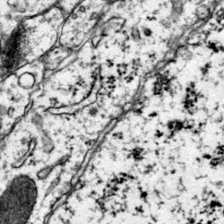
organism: Mouse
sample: Primary visual cortex